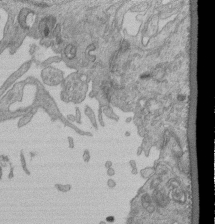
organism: Human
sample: Retinal organoid Rod and Cone cells